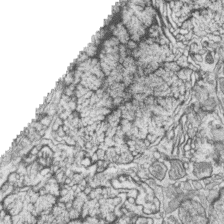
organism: Zebrafish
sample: synaptic ribbons in rod cells and cone cells